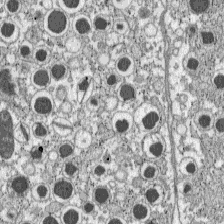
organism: C57BL Mouse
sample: Pancreatic islet